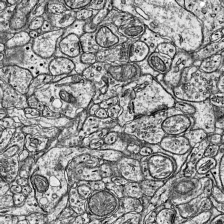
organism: Mouse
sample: Visual Cortex